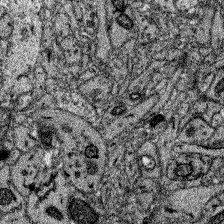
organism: Zebrafish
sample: Larval olfactory bulb